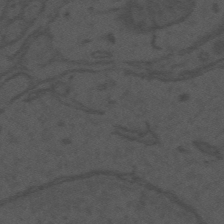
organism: Mouse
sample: Suprachiasmatic nucleus